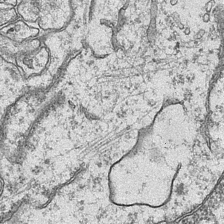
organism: Mouse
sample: CA1 Hippocampus